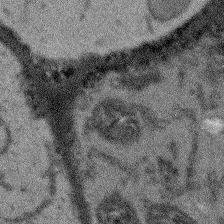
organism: Arabidopsis thaliana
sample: Root tip